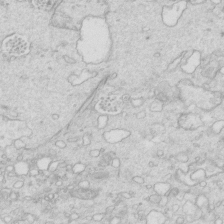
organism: Mouse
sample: Multiciliated cells